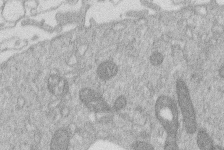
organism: Human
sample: Macrophage cells